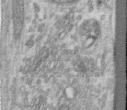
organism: Human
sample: Centriole in RPE cells